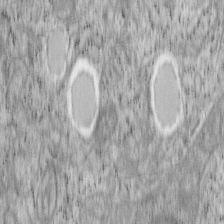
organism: Human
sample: HeLa cells